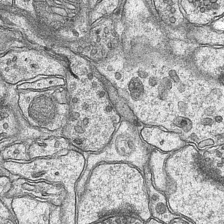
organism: Mouse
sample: CA1 Hippocampus